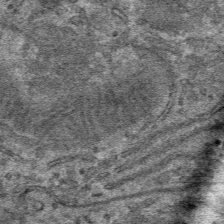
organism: Mouse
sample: Mouse hepatocytes